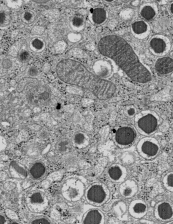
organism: C57BL Mouse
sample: Pancreatic islet